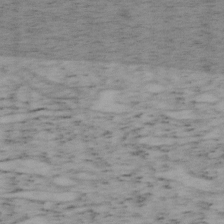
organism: Mouse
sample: OT-I killer T cells with ID8 ovarian cancer cells